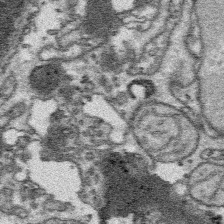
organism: Platynereis dumerilii